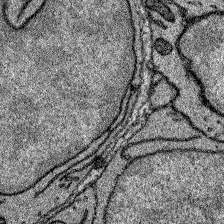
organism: Zebrafish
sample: Larval olfactory bulb